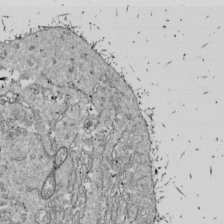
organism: Drosophila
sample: Cell division; meiosis; drosophila spermatocytes